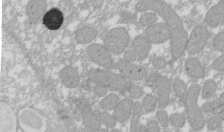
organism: Xenopus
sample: Cilia; centrioles in frog embryo cells